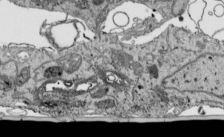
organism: Human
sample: Mitochondria in HCT116 cells